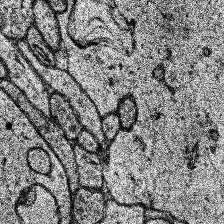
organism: Human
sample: Temporal Lobe